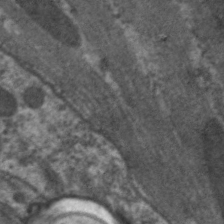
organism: C. elegans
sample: Pharynx